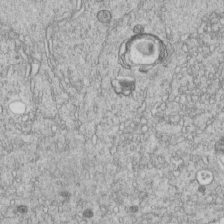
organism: C. elegans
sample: C. elegans embryo early stage